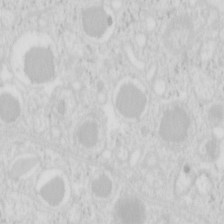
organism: Mouse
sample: Pancreas